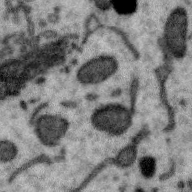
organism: Zebra finch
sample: Brain